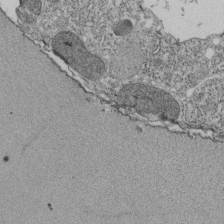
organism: Tetrahymena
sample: Cilia in tetrahymena